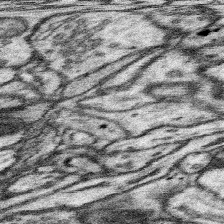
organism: Mouse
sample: Somatosensory cortex neuropil